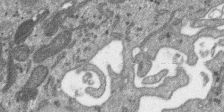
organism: Human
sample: Lung epithelial cells infected with SARS-CoV-2